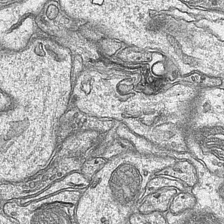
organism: Mouse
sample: CA1 Hippocampus